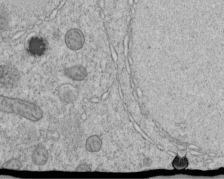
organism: C. elegans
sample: C. elegans embryo early stage